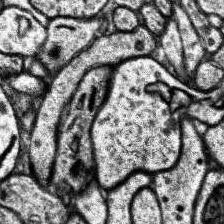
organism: Human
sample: Temporal Lobe